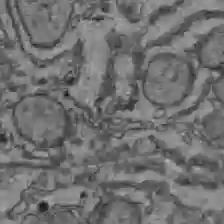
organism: C57BL Mouse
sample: Liver